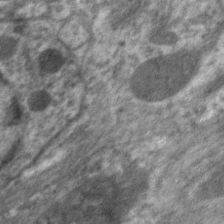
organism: C. elegans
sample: Pharynx